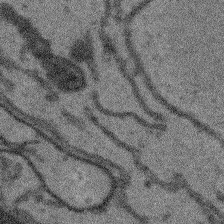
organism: Arabidopsis thaliana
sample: Root tip